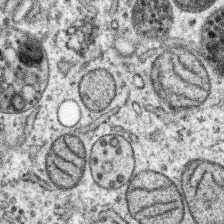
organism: Human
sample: HeLa cells